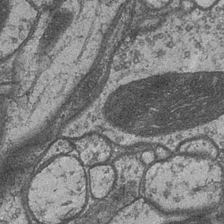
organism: Drosophila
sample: Optic medulla